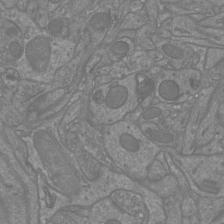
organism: Mouse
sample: Cortical neurons